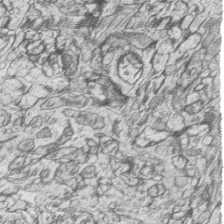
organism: Zebrafish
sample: synaptic ribbons in rod cells and cone cells